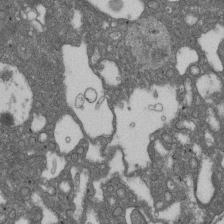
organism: Drosophila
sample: Nephrocyte